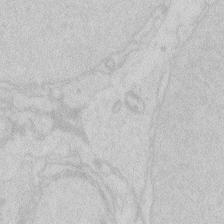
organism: Zebrafish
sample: Macrophage